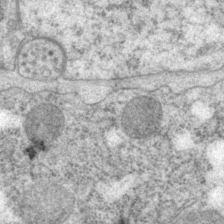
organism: P. pacificus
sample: Pharynx